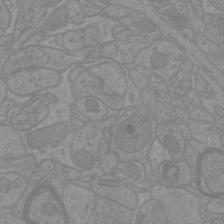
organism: Mouse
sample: Cortical neurons